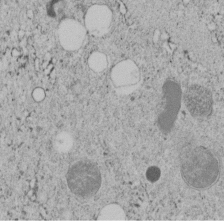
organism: C. elegans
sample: C. elegans embryo early stage